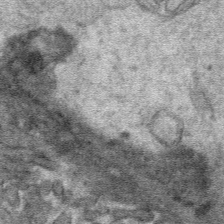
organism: Mouse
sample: Mouse hepatocytes